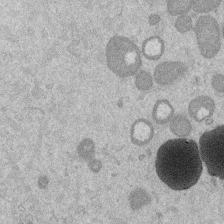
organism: Mouse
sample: Dividing mouse embryo 1 cell stage